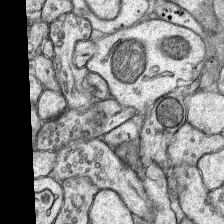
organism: Rat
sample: Hippocampus